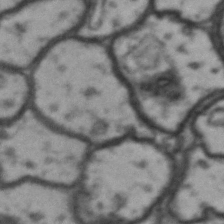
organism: Drosophila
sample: Brain